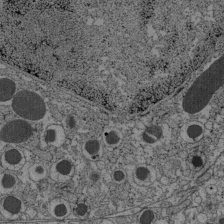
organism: C57BL Mouse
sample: Pancreatic islet